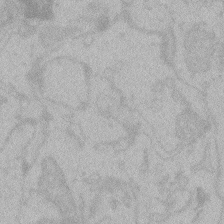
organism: Zebrafish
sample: Macrophage infected with Toxoplasma gondii